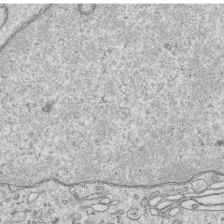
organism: Human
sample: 1205lu cells